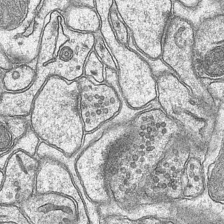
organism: Mouse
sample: CA1 Hippocampus